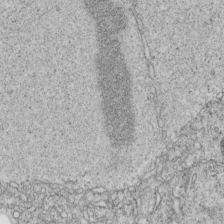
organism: C. elegans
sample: C. elegans embryo early stage